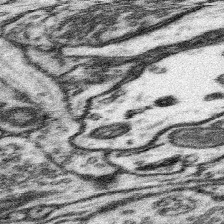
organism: Mouse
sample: Somatosensory cortex neuropil